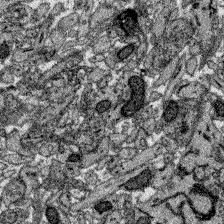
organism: Zebrafish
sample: Larval olfactory bulb